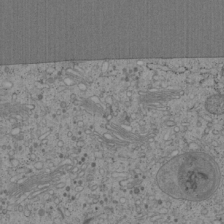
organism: African green monkey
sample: COS-7 cells